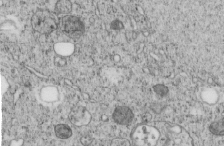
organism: C. elegans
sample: C. elegans embryo early stage